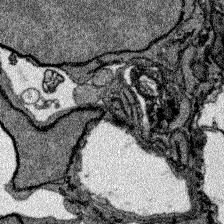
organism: Zebrafish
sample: Larval olfactory bulb